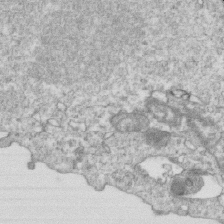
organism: Mouse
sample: Activated OT-1 CD8+ T cells